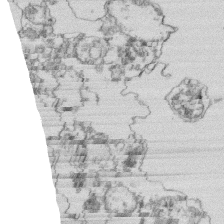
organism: Human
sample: HeLa cell HIV synapse